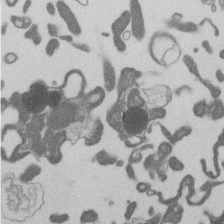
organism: Mouse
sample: Dividing mouse embryo 1 cell stage